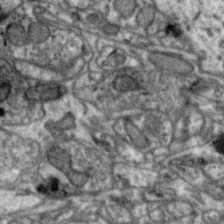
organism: Zebra finch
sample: Brain